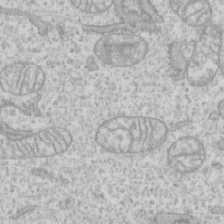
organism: Human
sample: CRL-1474